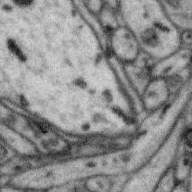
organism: Zebra finch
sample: Brain